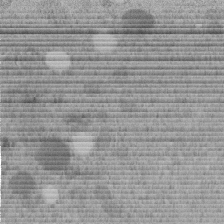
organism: C. elegans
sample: C. elegans embryo early stage